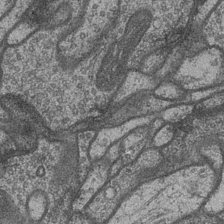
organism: Drosophila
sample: Optic medulla